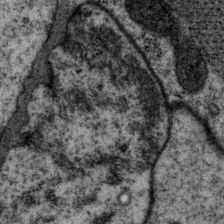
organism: P. pacificus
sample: Pharynx